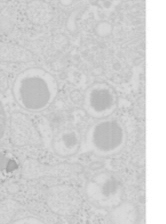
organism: Mouse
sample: Pancreas